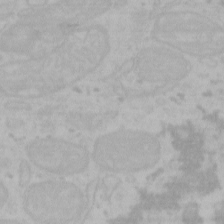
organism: Mouse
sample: Choroid plexus